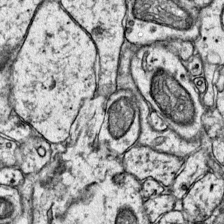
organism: Mouse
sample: Primary visual cortex